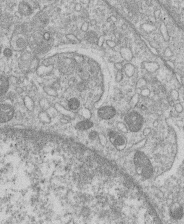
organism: Human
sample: Macrophage cells